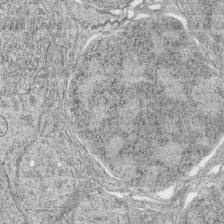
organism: Zebrafish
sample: synaptic ribbons in rod cells and cone cells